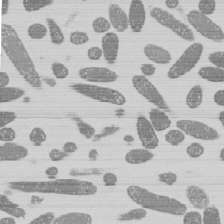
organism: E. coli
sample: Bacterial nucleoid